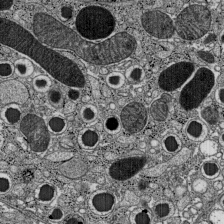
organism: C57BL Mouse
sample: Pancreatic islet